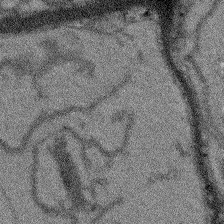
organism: Arabidopsis thaliana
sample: Root tip